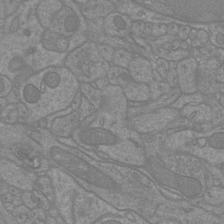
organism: Mouse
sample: Cortical neurons